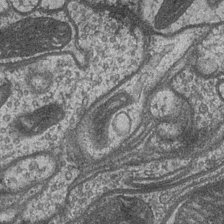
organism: Drosophila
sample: Optic medulla